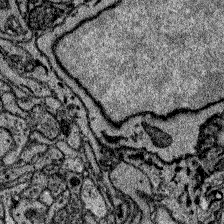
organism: Zebrafish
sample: Larval olfactory bulb